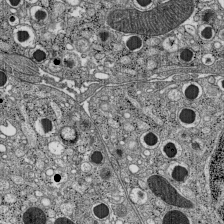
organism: C57BL Mouse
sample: Pancreatic islet